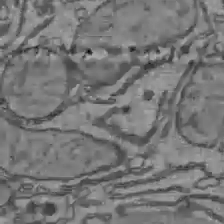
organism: C57BL Mouse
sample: Liver